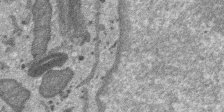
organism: Human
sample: Lung epithelial cells infected with SARS-CoV-2